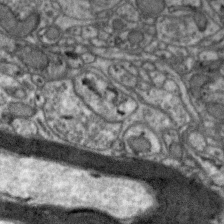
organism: Zebra finch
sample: Brain